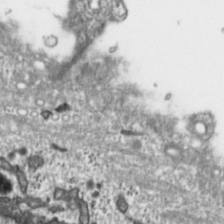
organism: Toxoplasma gondii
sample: Parasites in a vacuole inside a host cell